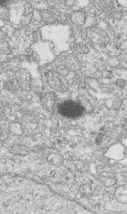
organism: Human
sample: HeLa cell HIV synapse